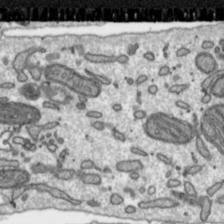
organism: Toxoplasma gondii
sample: Parasites in a vacuole inside a host cell